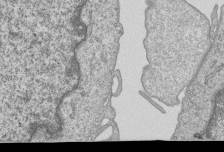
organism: Human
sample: MDA-MB-231 cells